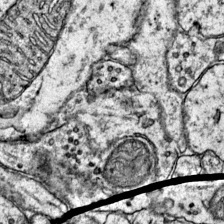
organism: Mouse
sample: Primary visual cortex